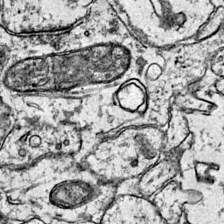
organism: Mouse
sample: Primary visual cortex